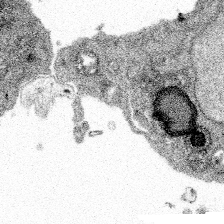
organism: Spongilla lacustris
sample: Multiple